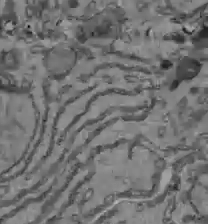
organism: C57BL Mouse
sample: Liver